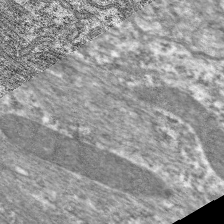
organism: C. elegans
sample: Pharynx